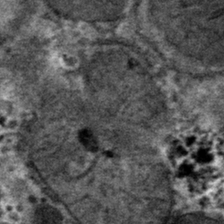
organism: Mouse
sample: Mouse hepatocytes